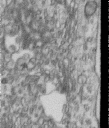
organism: Human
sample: Centriole in RPE cells